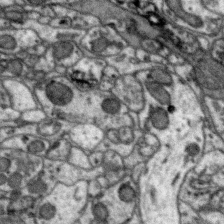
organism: Zebra finch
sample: Brain